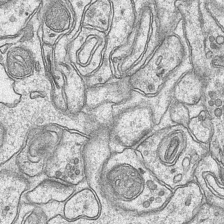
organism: Mouse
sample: CA1 Hippocampus